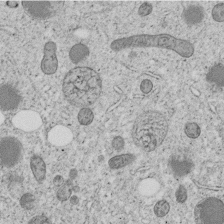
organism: C. elegans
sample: C. elegans embryo early stage